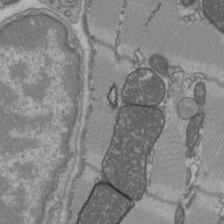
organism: C57BL Mouse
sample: Heart